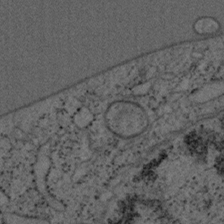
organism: Human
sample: HeLa cells